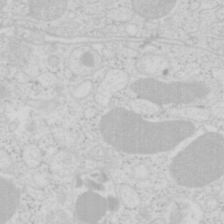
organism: Mouse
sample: Pancreas